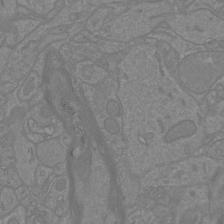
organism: Mouse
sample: Cortical neurons